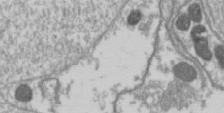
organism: Drosophila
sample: Cell division; meiosis; drosophila spermatocytes